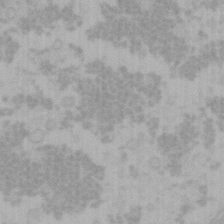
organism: Mouse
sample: Choroid plexus